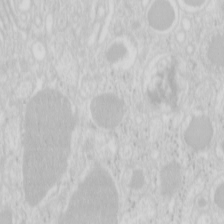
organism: Mouse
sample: Pancreas